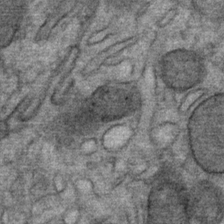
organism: Mouse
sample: Mouse Salivary gland